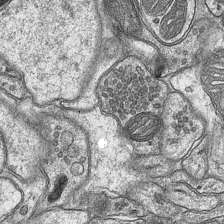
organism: Mouse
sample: CA1 Hippocampus